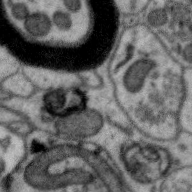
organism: Zebra finch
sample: Brain